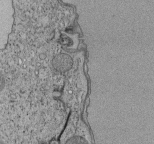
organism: Tetrahymena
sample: Cilia in tetrahymena